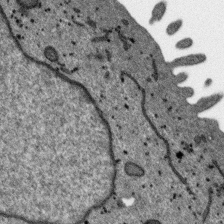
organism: Human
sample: Lung epithelial cells, uninfected (mock) control